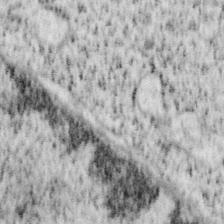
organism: Mouse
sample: OT-I killer T cells with ID8 ovarian cancer cells